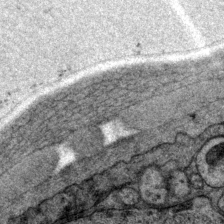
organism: P. pacificus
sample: Pharynx